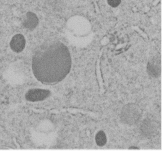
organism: C. elegans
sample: C. elegans embryo early stage